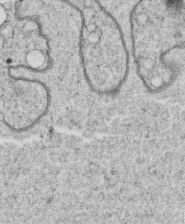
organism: C. elegans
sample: C. elegans oocyte; sperm cells